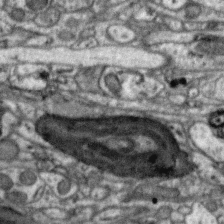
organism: Zebra finch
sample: Brain